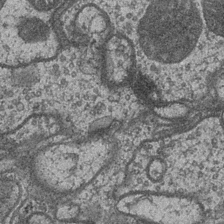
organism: Drosophila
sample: Optic medulla